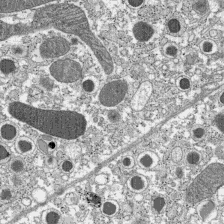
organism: C57BL Mouse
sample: Pancreatic islet